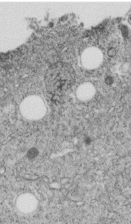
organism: C. elegans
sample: C. elegans embryo early stage